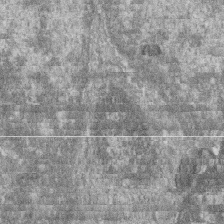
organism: Zebrafish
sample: Cilia; retinal pigment epithelium